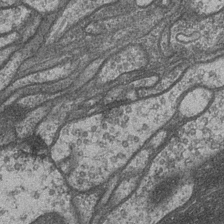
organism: Drosophila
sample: Optic medulla